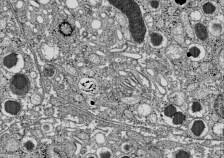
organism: C57BL Mouse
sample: Pancreatic islet